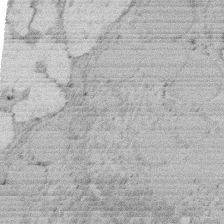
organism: Rat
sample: Salivary granule